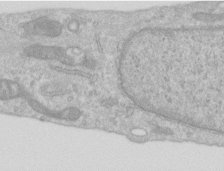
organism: Human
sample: Centriole in RPE cells